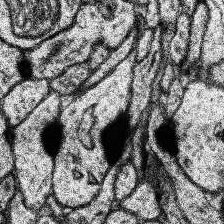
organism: Human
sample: Temporal Lobe